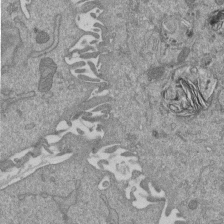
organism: Mouse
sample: ED-1 cell nuclei; centrioles